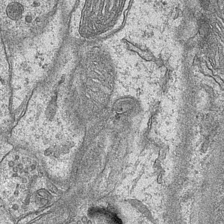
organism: Mouse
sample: CA1 Hippocampus